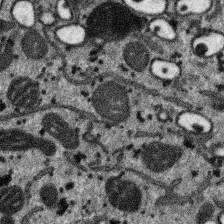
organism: Human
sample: Lung epithelial cells infected with SARS-CoV-2